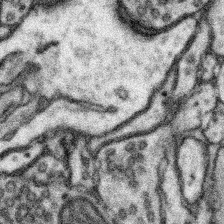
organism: Mouse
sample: Somatosensory cortex neuropil